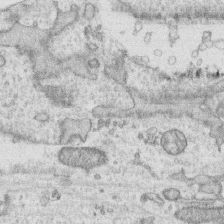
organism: Human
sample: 1205lu cells